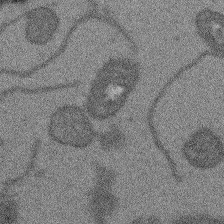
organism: Arabidopsis thaliana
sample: Root tip